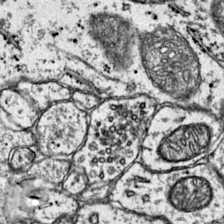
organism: Mouse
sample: Primary visual cortex